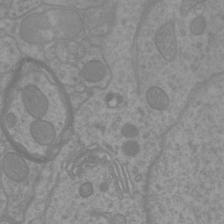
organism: Mouse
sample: Cortical neurons